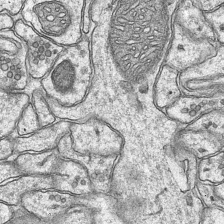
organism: Mouse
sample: CA1 Hippocampus